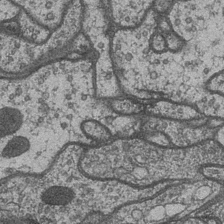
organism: Drosophila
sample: Optic medulla